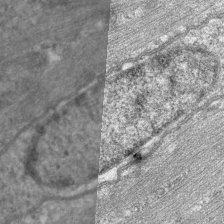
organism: C. elegans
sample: Pharynx